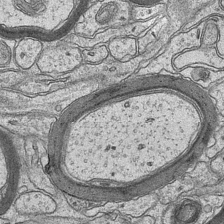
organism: Mouse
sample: CA1 Hippocampus